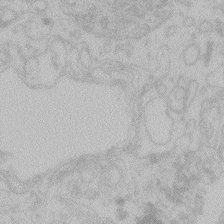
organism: Zebrafish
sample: Macrophage infected with Toxoplasma gondii